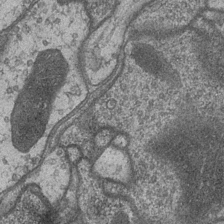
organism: Drosophila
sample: Optic medulla